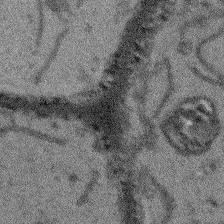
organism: Arabidopsis thaliana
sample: Root tip